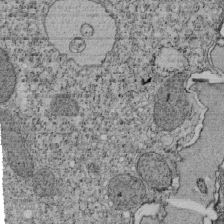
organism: Tetrahymena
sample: Cilia in tetrahymena